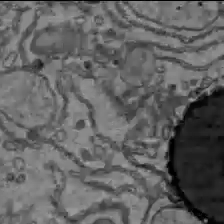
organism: C57BL Mouse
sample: Liver